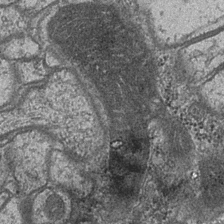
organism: Drosophila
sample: Optic medulla